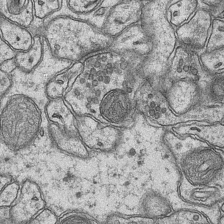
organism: Mouse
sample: CA1 Hippocampus